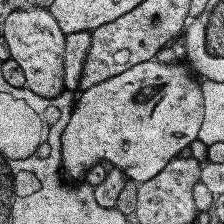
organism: Human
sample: Temporal Lobe